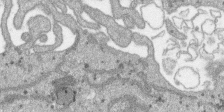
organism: Human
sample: Lung epithelial cells infected with SARS-CoV-2